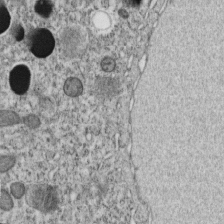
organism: C. elegans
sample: C. elegans embryo early stage